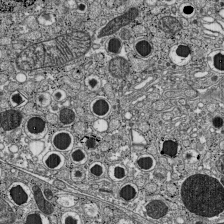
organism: C57BL Mouse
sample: Pancreatic islet